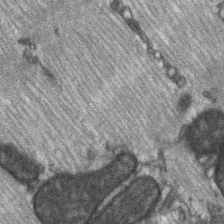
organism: C57BL Mouse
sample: Soleus